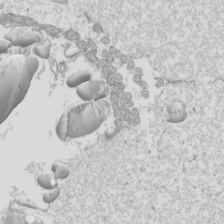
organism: Mouse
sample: Cilia; mouse epididymis